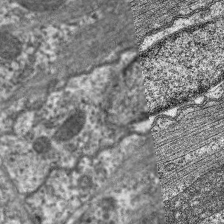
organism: C. elegans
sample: Pharynx